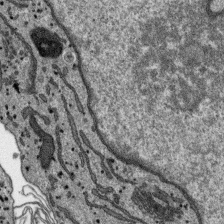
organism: Human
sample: Lung epithelial cells, uninfected (mock) control